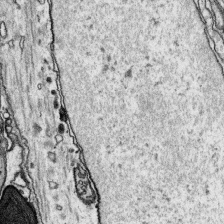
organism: Platynereis dumerilii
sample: Parapodia